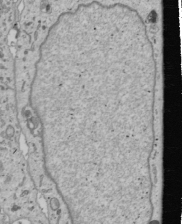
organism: Human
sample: Mitochondria in U2OS cells